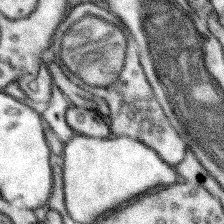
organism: Mouse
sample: Somatosensory cortex neuropil